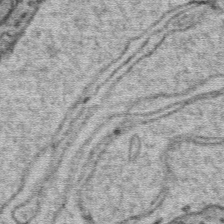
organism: Mouse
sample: Mouse Salivary gland